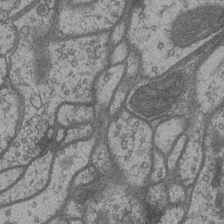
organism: Drosophila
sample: Optic medulla